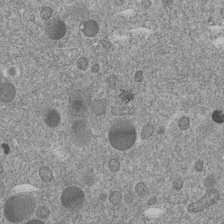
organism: C. elegans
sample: C. elegans embryo early stage